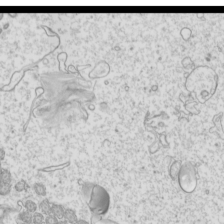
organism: Mouse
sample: Cilia; mouse epididymis